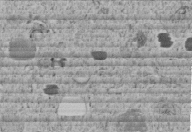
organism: C. elegans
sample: C. elegans embryo early stage